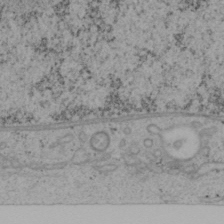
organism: Human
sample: HeLa cells